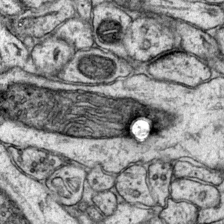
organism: Mouse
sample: Primary visual cortex